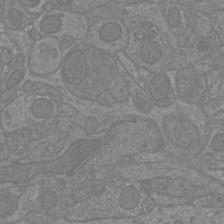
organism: Mouse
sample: Cortical neurons